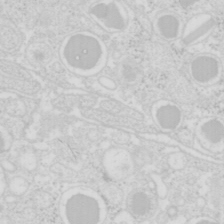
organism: Mouse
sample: Pancreas